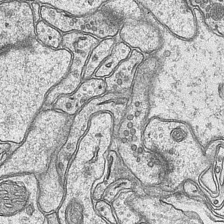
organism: Mouse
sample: CA1 Hippocampus